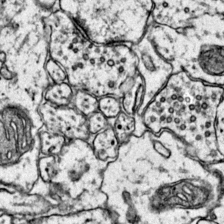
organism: Mouse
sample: Primary visual cortex